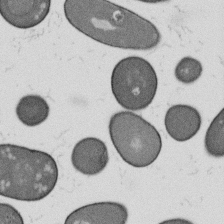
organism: B. subtilis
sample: Bacterial spore